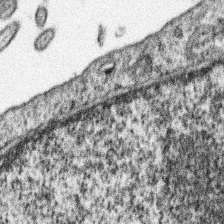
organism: Human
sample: HeLa cells